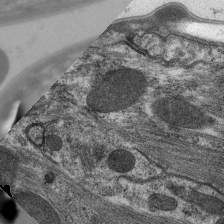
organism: C. elegans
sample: Pharynx